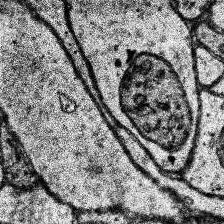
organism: Human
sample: Temporal Lobe